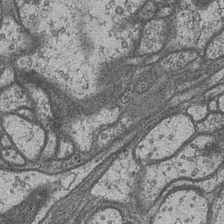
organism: Drosophila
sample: Optic medulla